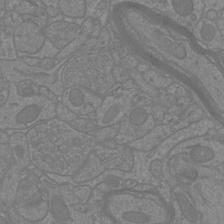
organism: Mouse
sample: Cortical neurons